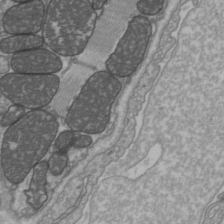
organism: C57BL Mouse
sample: Heart